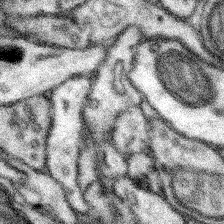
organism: Mouse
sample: Somatosensory cortex neuropil